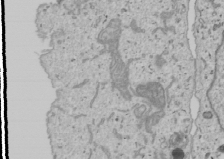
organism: Human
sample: Mitochondria in U2OS cells